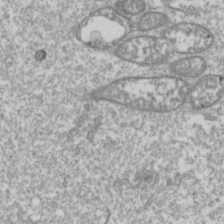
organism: Drosophila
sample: Cell division; meiosis; drosophila spermatocytes